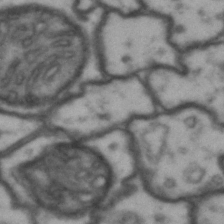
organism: Drosophila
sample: Brain